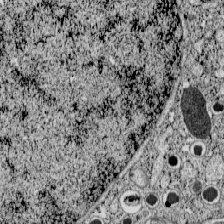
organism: C57BL Mouse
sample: Pancreatic islet